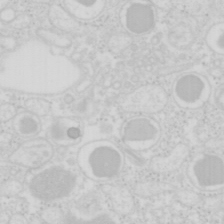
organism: Mouse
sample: Pancreas